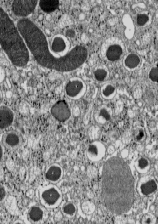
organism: C57BL Mouse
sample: Pancreatic islet